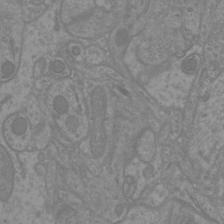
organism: Mouse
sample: Cortical neurons